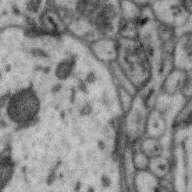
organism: Zebra finch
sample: Brain